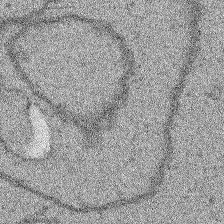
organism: Human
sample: HeLa cells